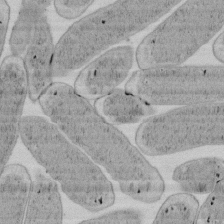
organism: E. coli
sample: Bacterial nucleoid